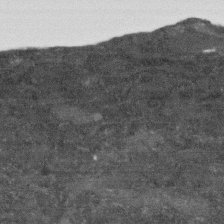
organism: Human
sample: Fibroblast cells